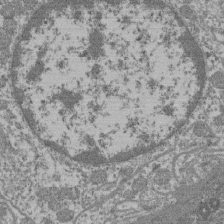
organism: Mouse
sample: Glomerulus